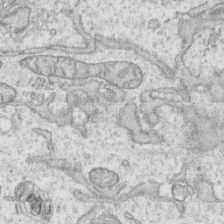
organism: Human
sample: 1205lu cells